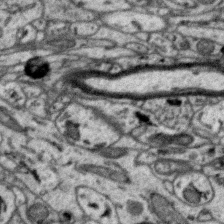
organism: Zebra finch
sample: Brain